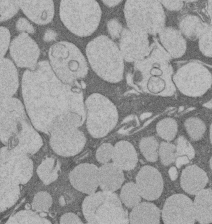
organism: Rat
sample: Salivary granule